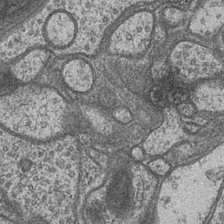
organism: Drosophila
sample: Optic medulla